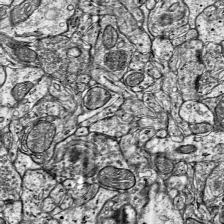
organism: Mouse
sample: Visual Cortex